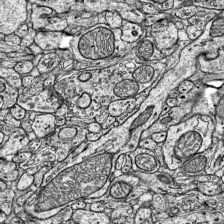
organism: Mouse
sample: Visual Cortex